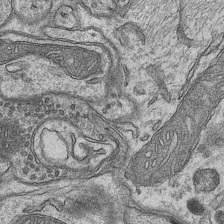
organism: Mouse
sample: CA1 Hippocampus